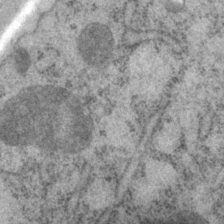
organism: P. pacificus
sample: Pharynx